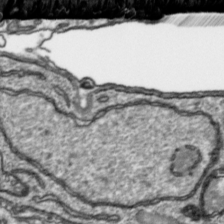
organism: Toxoplasma gondii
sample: Parasites in a vacuole inside a host cell